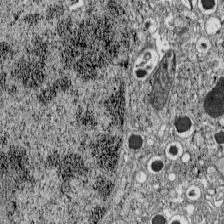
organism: C57BL Mouse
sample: Pancreatic islet